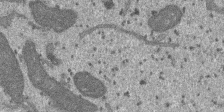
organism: Human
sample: Lung epithelial cells infected with SARS-CoV-2